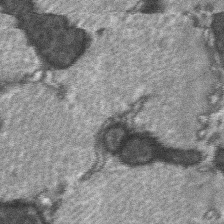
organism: C57BL Mouse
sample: Soleus